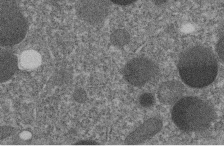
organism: C. elegans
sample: C. elegans embryo early stage